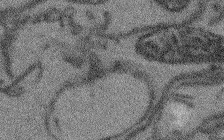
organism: Arabidopsis thaliana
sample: Root tip